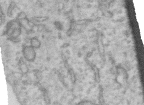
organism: Human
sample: Centriole in RPE cells